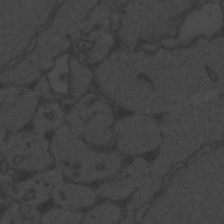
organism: Zebrafish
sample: Macrophage infected with Toxoplasma gondii